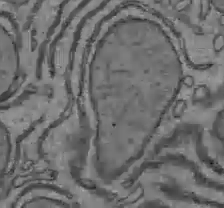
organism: C57BL Mouse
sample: Liver